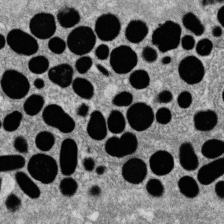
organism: Zebrafish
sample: Cilia; retinal pigment epithelium